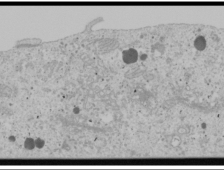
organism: Human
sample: Mitochondria in U2OS cells